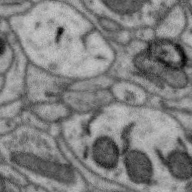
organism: Zebra finch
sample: Brain